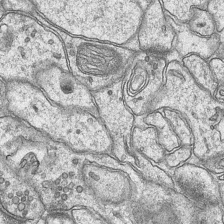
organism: Mouse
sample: CA1 Hippocampus